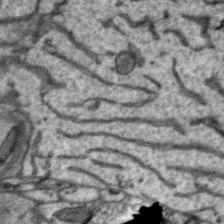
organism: Zebra finch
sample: Brain